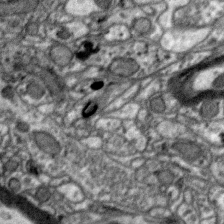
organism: Zebra finch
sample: Brain